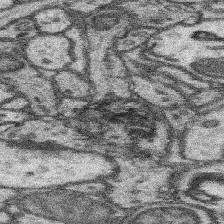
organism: Mouse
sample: Somatosensory cortex neuropil